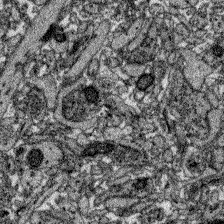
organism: Zebrafish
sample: Larval olfactory bulb